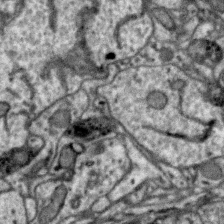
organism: Zebra finch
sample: Brain